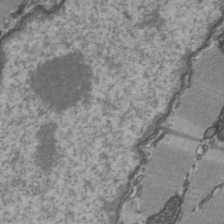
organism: C57BL Mouse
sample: Heart